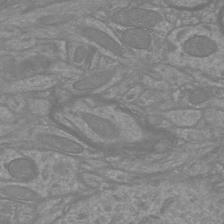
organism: Mouse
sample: Cortical neurons